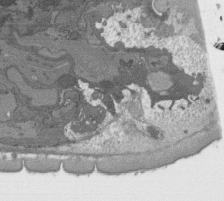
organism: C. elegans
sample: AFD neurons C. elegans